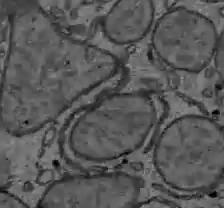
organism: C57BL Mouse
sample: Liver